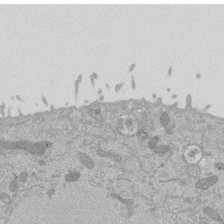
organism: Mouse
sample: ED-1 cell nuclei; centrioles